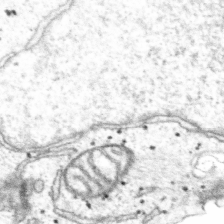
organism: Human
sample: HeLa cells